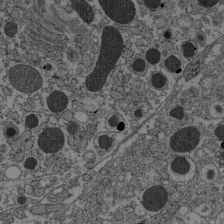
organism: C57BL Mouse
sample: Pancreatic islet